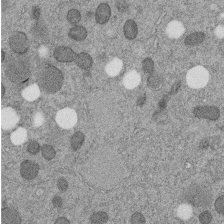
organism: C. elegans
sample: C. elegans embryo early stage